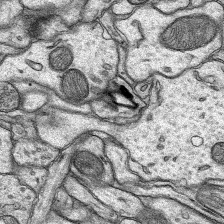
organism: Rat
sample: Hippocampus